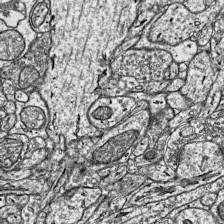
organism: Mouse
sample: Visual Cortex